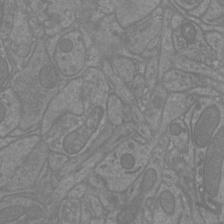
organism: Mouse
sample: Cortical neurons